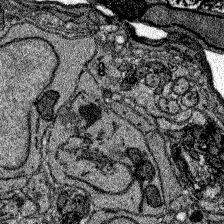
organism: Zebrafish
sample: Larval olfactory bulb